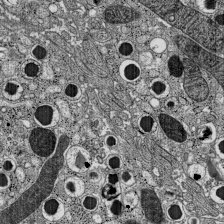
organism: C57BL Mouse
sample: Pancreatic islet